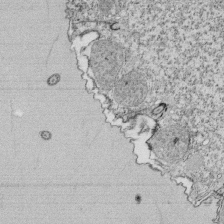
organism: Tetrahymena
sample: Cilia in tetrahymena